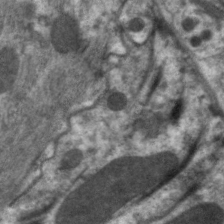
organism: C. elegans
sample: Pharynx